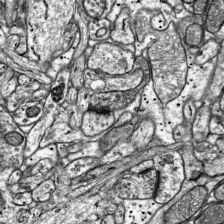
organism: Mouse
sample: Visual Cortex